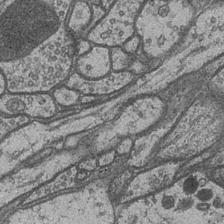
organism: Drosophila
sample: Optic medulla